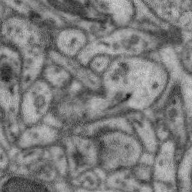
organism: Zebra finch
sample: Brain